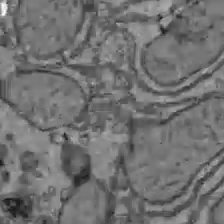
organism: C57BL Mouse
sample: Liver